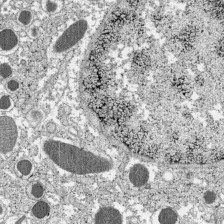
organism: C57BL Mouse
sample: Pancreatic islet